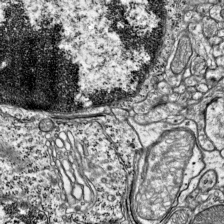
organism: Mouse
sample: Visual Cortex